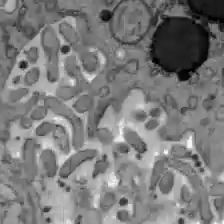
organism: C57BL Mouse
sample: Liver